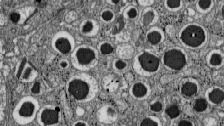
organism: C57BL Mouse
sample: Pancreatic islet